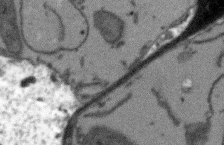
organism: Arabidopsis thaliana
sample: Root tip